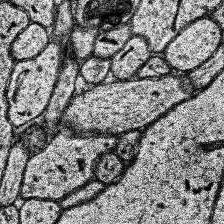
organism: Human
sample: Temporal Lobe